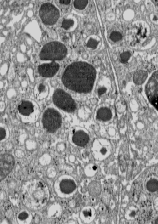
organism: C57BL Mouse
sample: Pancreatic islet